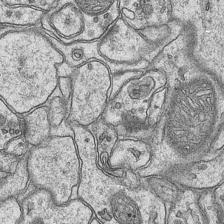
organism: Mouse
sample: CA1 Hippocampus